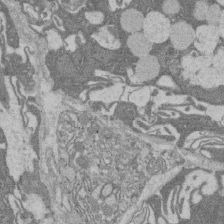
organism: Rat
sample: Salivary granule